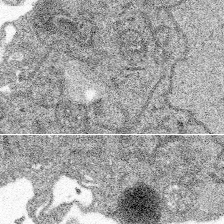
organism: Spongilla lacustris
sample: Multiple